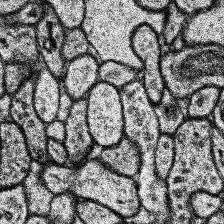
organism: Human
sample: Temporal Lobe